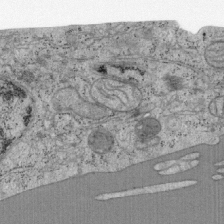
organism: Human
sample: HeLa cells